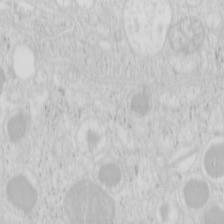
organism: Mouse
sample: Pancreas